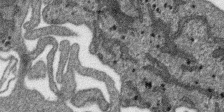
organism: Human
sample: Lung epithelial cells infected with SARS-CoV-2